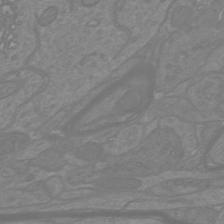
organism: Mouse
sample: Cortical neurons